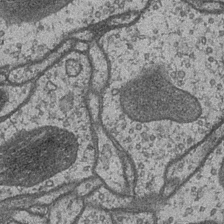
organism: Drosophila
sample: Optic medulla